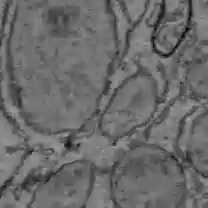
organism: C57BL Mouse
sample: Liver